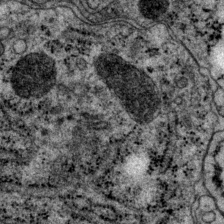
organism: P. pacificus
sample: Pharynx